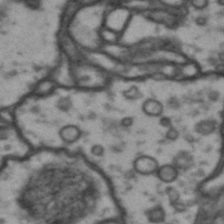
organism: Drosophila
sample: Brain